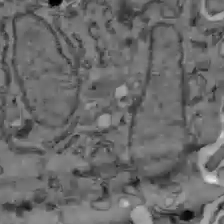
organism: C57BL Mouse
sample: Liver